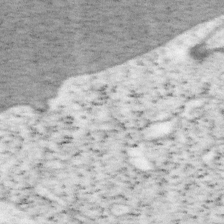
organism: Mouse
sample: OT-I killer T cells with ID8 ovarian cancer cells